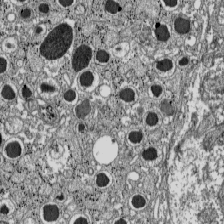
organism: C57BL Mouse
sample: Pancreatic islet